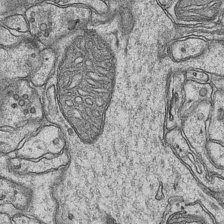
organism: Mouse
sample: CA1 Hippocampus